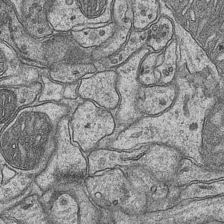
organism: Mouse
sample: CA1 Hippocampus